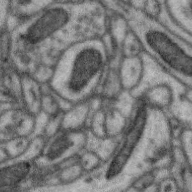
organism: Zebra finch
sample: Brain